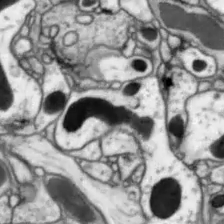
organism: Drosophila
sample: Optic lobe